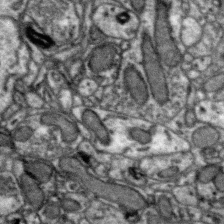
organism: Zebra finch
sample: Brain